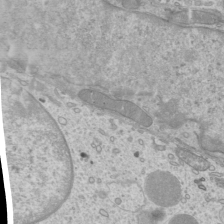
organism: Mouse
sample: Cilia; mouse epididymis